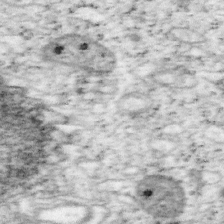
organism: Mouse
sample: OT-I killer T cells with ID8 ovarian cancer cells